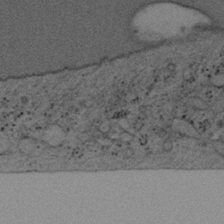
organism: Human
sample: HeLa cells